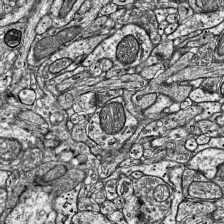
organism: Mouse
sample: Visual Cortex